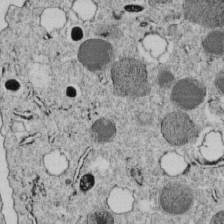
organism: C. elegans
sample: C. elegans embryo early stage